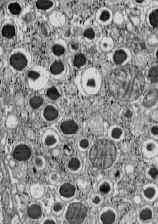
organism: C57BL Mouse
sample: Pancreatic islet